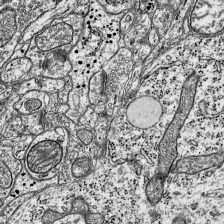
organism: Mouse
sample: Visual Cortex